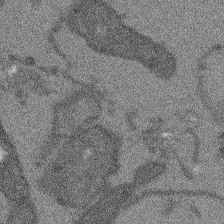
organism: Arabidopsis thaliana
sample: Root tip